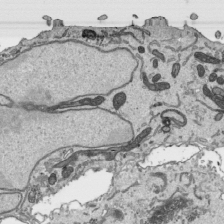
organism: Human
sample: Mitochondria in HCT116 cells